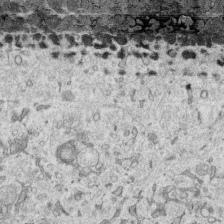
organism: Human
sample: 1205lu cells